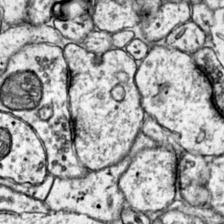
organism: Mouse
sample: Primary visual cortex